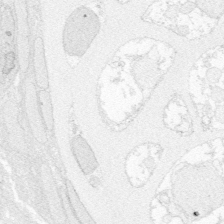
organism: Zebrafish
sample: Whole-Brain